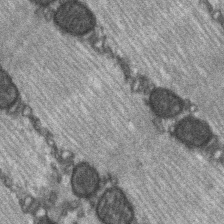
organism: C57BL Mouse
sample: Soleus